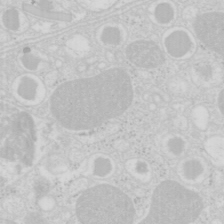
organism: Mouse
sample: Pancreas